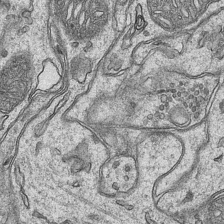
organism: Mouse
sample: CA1 Hippocampus